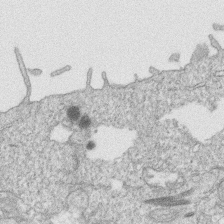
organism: Human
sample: HeLa cell HIV synapse